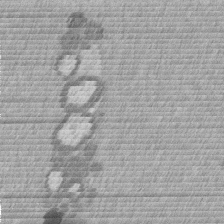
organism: Mouse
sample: Dividing mouse embryo 1 cell stage